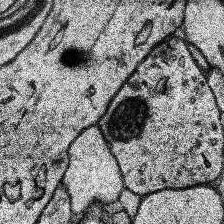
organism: Human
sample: Temporal Lobe